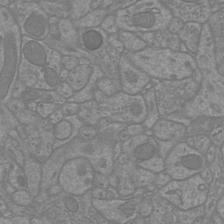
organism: Mouse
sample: Cortical neurons